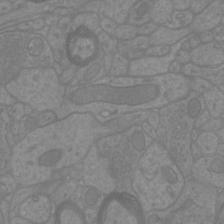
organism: Mouse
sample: Cortical neurons